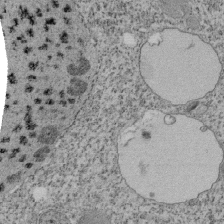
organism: Tetrahymena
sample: Cilia in tetrahymena